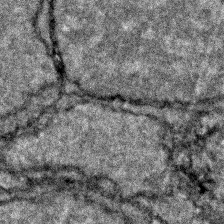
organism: Zebrafish